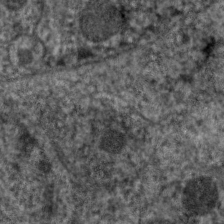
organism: C. elegans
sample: Pharynx